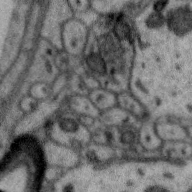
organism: Zebra finch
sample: Brain